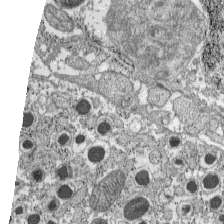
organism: C57BL Mouse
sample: Pancreatic islet